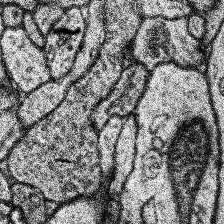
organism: Human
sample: Temporal Lobe